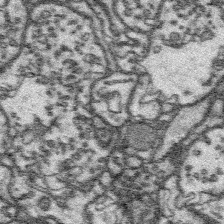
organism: Platynereis dumerilii